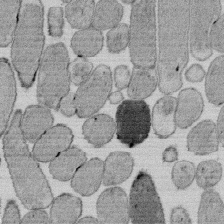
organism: E. coli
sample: Bacterial nucleoid